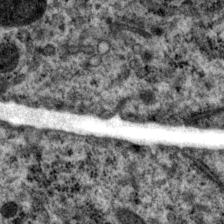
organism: P. pacificus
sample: Pharynx